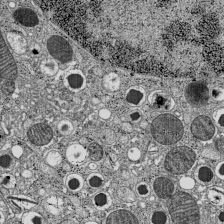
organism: C57BL Mouse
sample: Pancreatic islet